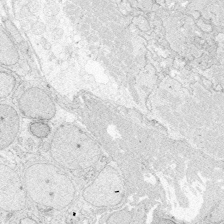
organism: Zebrafish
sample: Whole-Brain